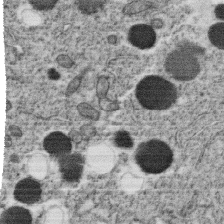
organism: C. elegans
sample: C. elegans oocyte; sperm cells